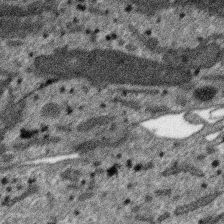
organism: Human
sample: Lung epithelial cells infected with SARS-CoV-2